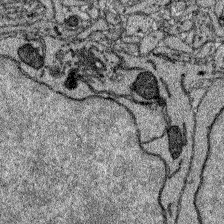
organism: Zebrafish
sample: Larval olfactory bulb